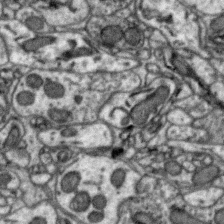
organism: Zebra finch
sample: Brain